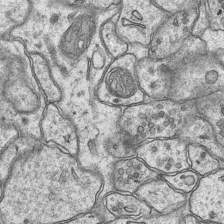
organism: Mouse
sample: CA1 Hippocampus